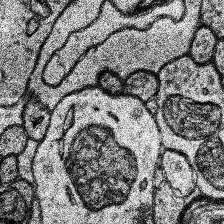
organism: Human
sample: Temporal Lobe